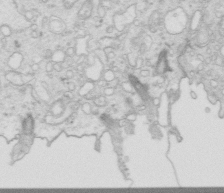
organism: Mouse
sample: Multiciliated cells